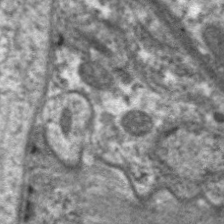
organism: C. elegans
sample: Pharynx